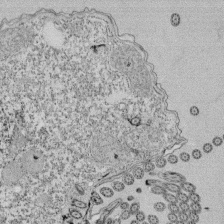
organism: Tetrahymena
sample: Cilia in tetrahymena